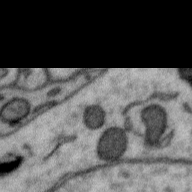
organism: Zebra finch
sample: Brain